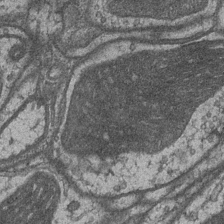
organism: Drosophila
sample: Optic medulla